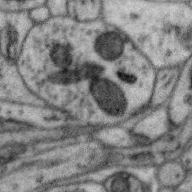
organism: Zebra finch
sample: Brain